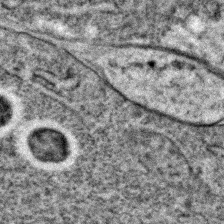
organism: C. elegans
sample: C. elegans embryo